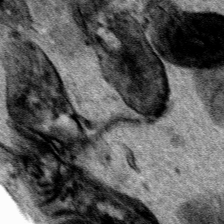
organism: Human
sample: Mitochondria in HCT116 cells